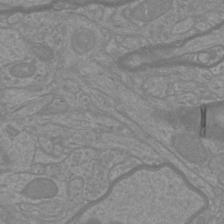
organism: Mouse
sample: Cortical neurons